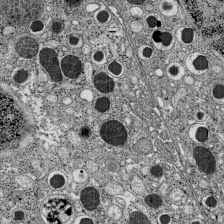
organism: C57BL Mouse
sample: Pancreatic islet